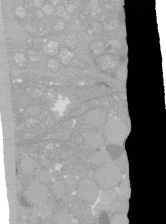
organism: C. elegans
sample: C. elegans oocyte; sperm cells